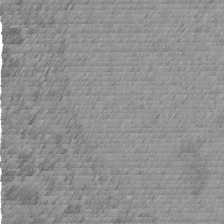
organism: C. elegans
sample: C. elegans embryo early stage